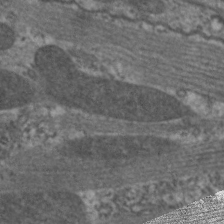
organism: C. elegans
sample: Pharynx